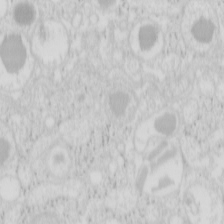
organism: Mouse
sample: Pancreas